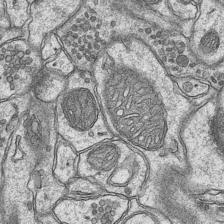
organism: Mouse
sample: CA1 Hippocampus